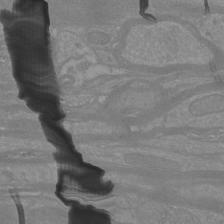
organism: Mouse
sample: Cortical neurons